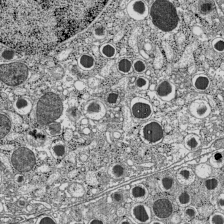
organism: C57BL Mouse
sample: Pancreatic islet